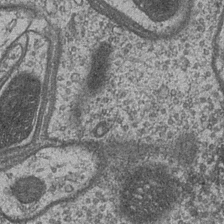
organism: Drosophila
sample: Optic medulla